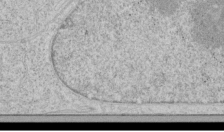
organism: Human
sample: Mitochondria in HCT116 cells